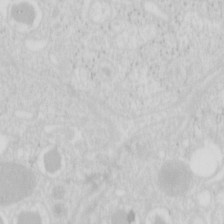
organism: Mouse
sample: Pancreas